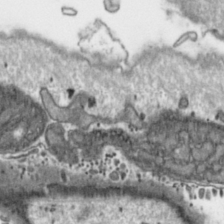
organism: Toxoplasma gondii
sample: Parasites in a vacuole inside a host cell